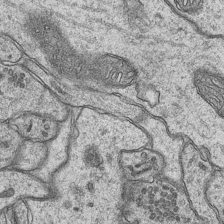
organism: Mouse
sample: CA1 Hippocampus